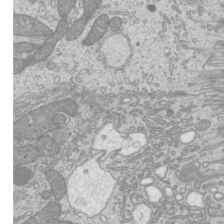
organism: Mouse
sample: Cilia; mouse epididymis